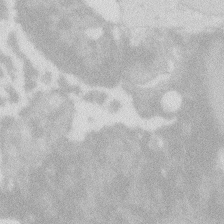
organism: Zebrafish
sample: Macrophage